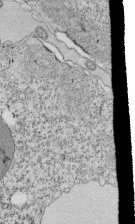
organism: Tetrahymena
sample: Cilia in tetrahymena